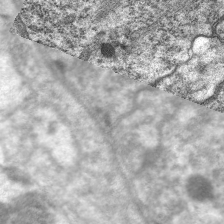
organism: C. elegans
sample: Pharynx